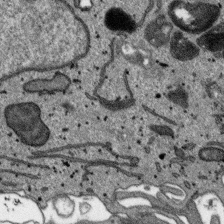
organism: Human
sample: Lung epithelial cells, uninfected (mock) control